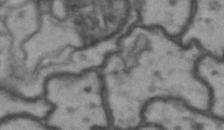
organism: Drosophila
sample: Brain